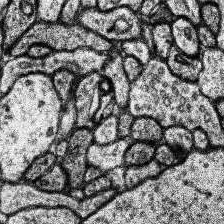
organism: Human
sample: Temporal Lobe